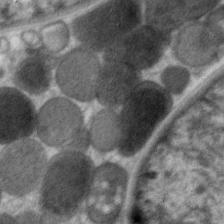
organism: C. elegans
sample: Pharynx